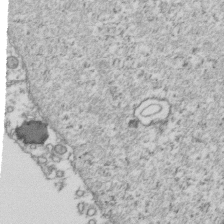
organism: Human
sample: Activated Jurkat CD4+ T cells